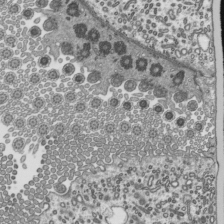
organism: Mouse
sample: Mouse epididymis efferent ductule cilia